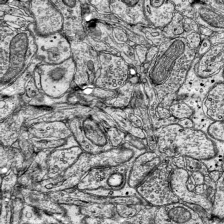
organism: Mouse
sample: Visual Cortex